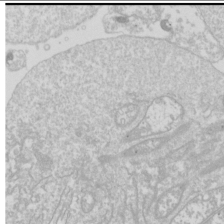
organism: Drosophila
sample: Cell division; meiosis; drosophila spermatocytes